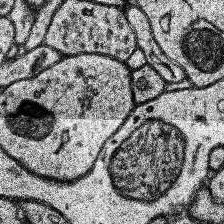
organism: Human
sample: Temporal Lobe